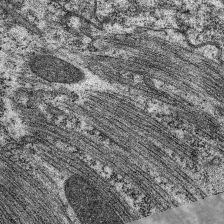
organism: C. elegans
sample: Pharynx